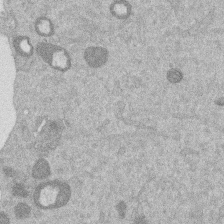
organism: Mouse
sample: Dividing mouse embryo 1 cell stage